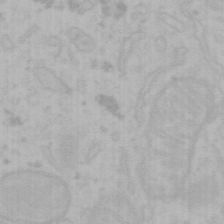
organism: Mouse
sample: Choroid plexus